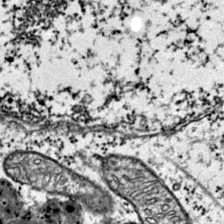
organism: Mouse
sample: Primary visual cortex